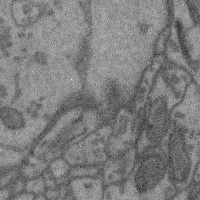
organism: Mouse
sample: Cerebral cortex